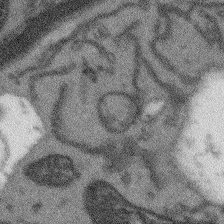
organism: Arabidopsis thaliana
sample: Root tip